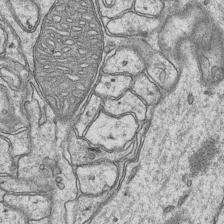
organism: Mouse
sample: CA1 Hippocampus